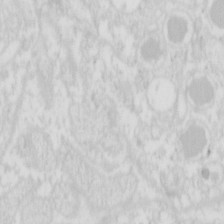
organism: Mouse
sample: Pancreas